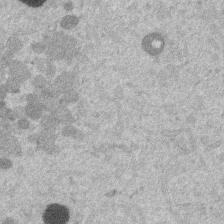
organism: Mouse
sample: Dividing mouse embryo 1 cell stage